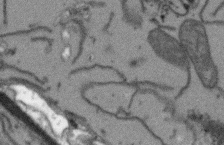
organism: Arabidopsis thaliana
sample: Root tip